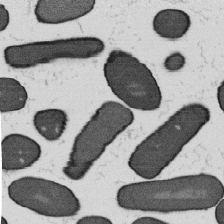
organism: B. subtilis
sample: Bacterial spore